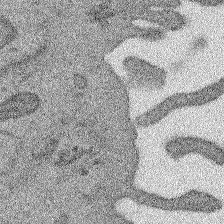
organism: Human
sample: HeLa cells